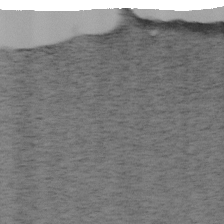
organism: Mouse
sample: OT-I killer T cells with ID8 ovarian cancer cells